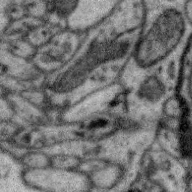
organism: Zebra finch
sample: Brain